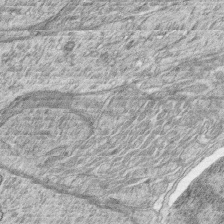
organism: Zebrafish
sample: synaptic ribbons in rod cells and cone cells